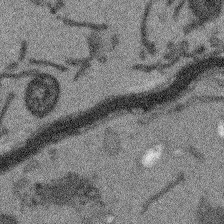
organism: Arabidopsis thaliana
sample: Root tip